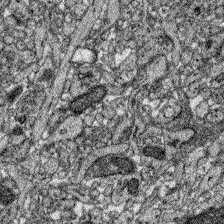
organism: Zebrafish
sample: Larval olfactory bulb